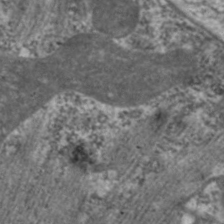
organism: C. elegans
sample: Pharynx